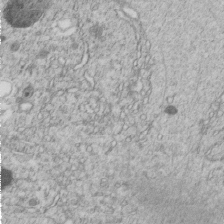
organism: C. elegans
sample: C. elegans embryo early stage